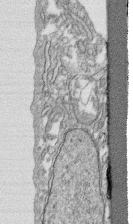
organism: Human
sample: CRL-1474